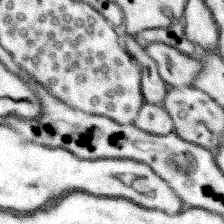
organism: Mouse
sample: Somatosensory cortex neuropil